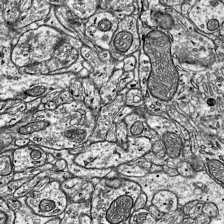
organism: Mouse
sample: Visual Cortex